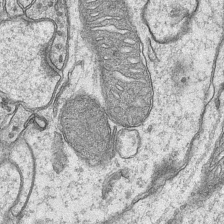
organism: Mouse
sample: CA1 Hippocampus